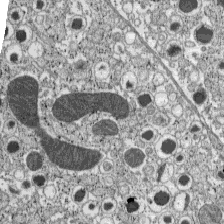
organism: C57BL Mouse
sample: Pancreatic islet